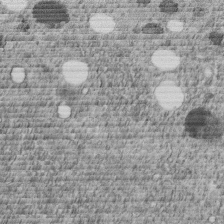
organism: C. elegans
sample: C. elegans embryo early stage